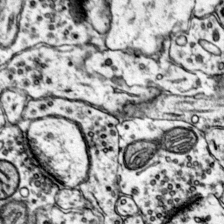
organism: Mouse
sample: Primary visual cortex